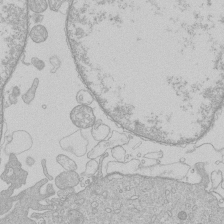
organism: Human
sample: Macrophage cells